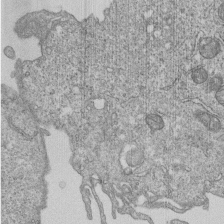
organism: Human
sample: MDA-MB-231 cells